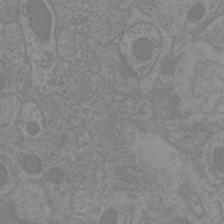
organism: Mouse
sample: Cortical neurons